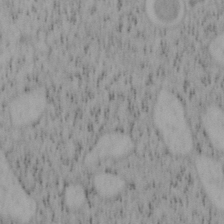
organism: Mouse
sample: OT-I killer T cells with ID8 ovarian cancer cells